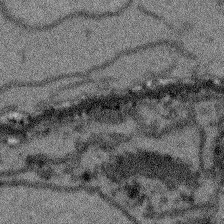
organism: Arabidopsis thaliana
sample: Root tip